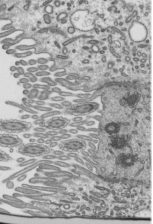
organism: Mouse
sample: Mouse epididymis efferent ductule cilia